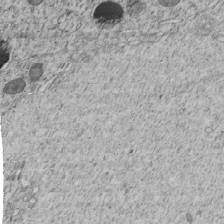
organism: C. elegans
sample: C. elegans embryo early stage